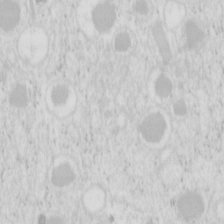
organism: Mouse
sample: Pancreas